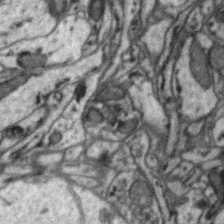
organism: Zebra finch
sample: Brain